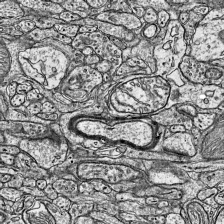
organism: Mouse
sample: Visual Cortex